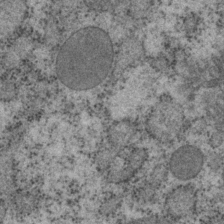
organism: P. pacificus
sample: Pharynx